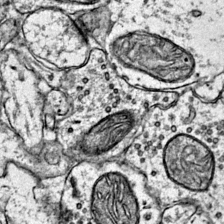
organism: Mouse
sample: Primary visual cortex